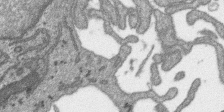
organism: Human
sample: Lung epithelial cells infected with SARS-CoV-2